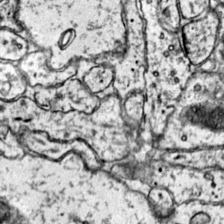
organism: Mouse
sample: Primary visual cortex